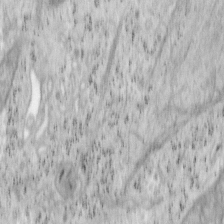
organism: Human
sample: HeLa cells